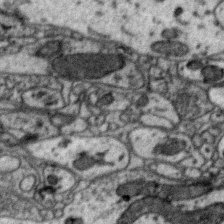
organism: Zebra finch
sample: Brain